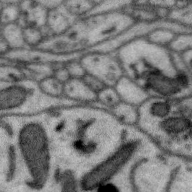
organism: Zebra finch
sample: Brain